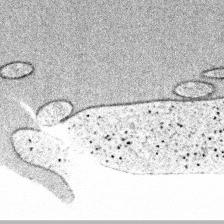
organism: Human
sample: HeLa cells